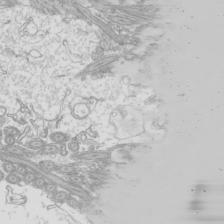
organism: Mouse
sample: Cilia; mouse epididymis